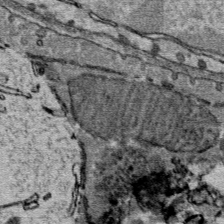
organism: Mouse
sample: Mouse Salivary gland